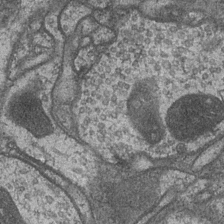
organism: Drosophila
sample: Optic medulla